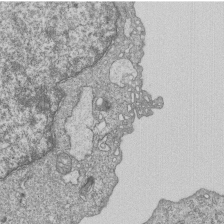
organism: Human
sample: MDA-MB-231 cells